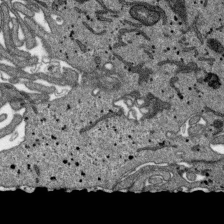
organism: Human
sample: Lung epithelial cells, uninfected (mock) control